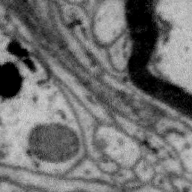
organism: Zebra finch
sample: Brain